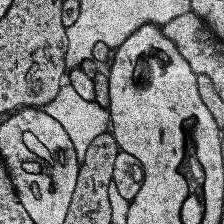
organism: Human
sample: Temporal Lobe